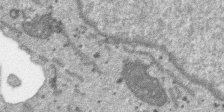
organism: Human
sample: Lung epithelial cells infected with SARS-CoV-2